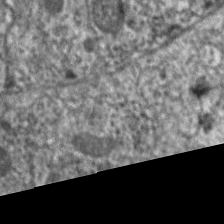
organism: C. elegans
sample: Pharynx